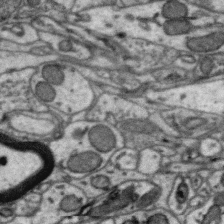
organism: Zebra finch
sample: Brain